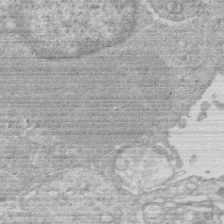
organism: Human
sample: Macrophage cells